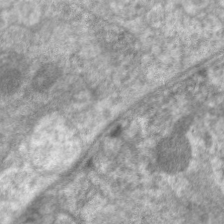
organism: C. elegans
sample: Pharynx